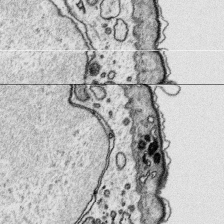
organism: Platynereis dumerilii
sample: Parapodia